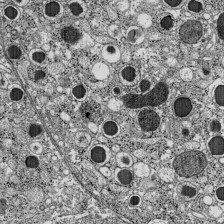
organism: C57BL Mouse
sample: Pancreatic islet